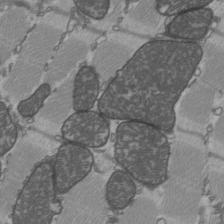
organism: C57BL Mouse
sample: Heart